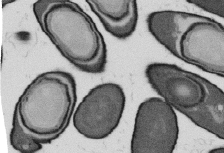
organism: B. subtilis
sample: Bacterial spore